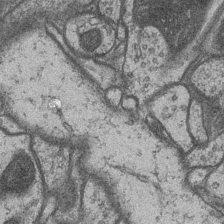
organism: Drosophila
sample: Optic medulla